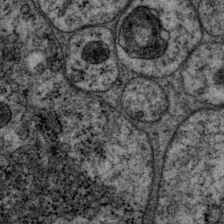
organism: P. pacificus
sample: Pharynx